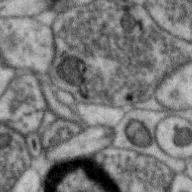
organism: Zebra finch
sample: Brain